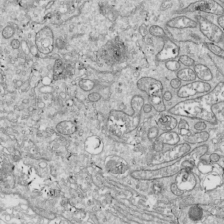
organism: Drosophila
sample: Cell division; meiosis; drosophila spermatocytes